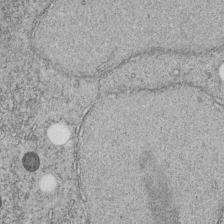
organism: C. elegans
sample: C. elegans embryo early stage